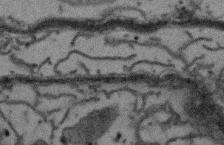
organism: Arabidopsis thaliana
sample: Root tip